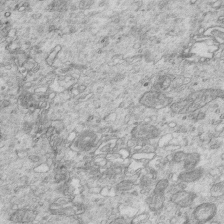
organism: Mouse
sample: Multiciliated cells